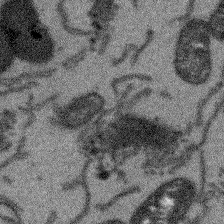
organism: Arabidopsis thaliana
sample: Root tip